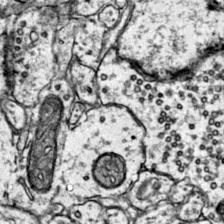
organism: Mouse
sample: Primary visual cortex